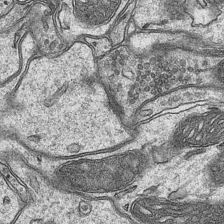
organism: Mouse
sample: CA1 Hippocampus